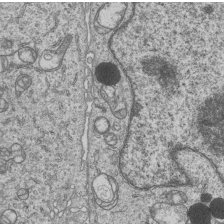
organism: Human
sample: MDA-MB-231 cells